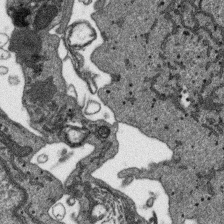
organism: Human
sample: Lung epithelial cells infected with SARS-CoV-2